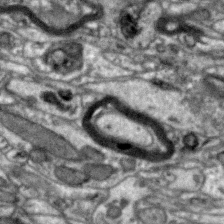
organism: Zebra finch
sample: Brain